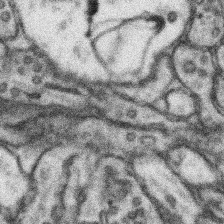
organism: Mouse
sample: Somatosensory cortex neuropil